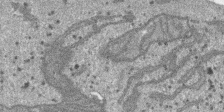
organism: Human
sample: Lung epithelial cells infected with SARS-CoV-2